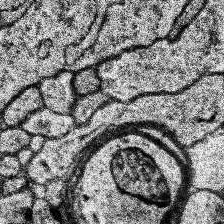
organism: Human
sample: Temporal Lobe